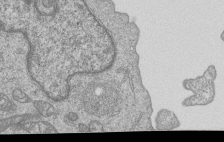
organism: Human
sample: MDA-MB-231 cells